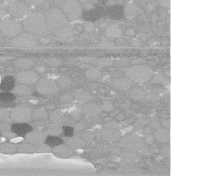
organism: C. elegans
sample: C. elegans oocyte; sperm cells